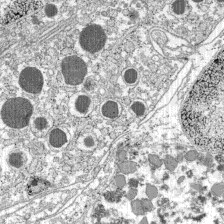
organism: C57BL Mouse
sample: Pancreatic islet